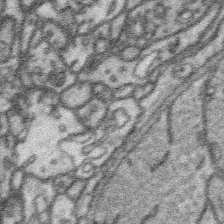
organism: Platynereis dumerilii